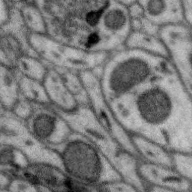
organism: Zebra finch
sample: Brain